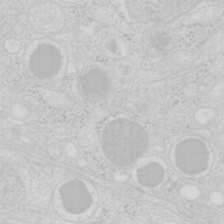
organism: Mouse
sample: Pancreas